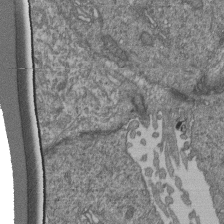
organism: Human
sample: Retinal organoid Rod and Cone cells